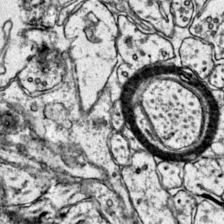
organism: Mouse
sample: Primary visual cortex